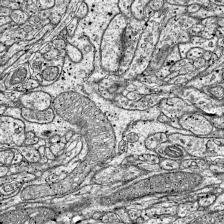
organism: Mouse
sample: Visual Cortex